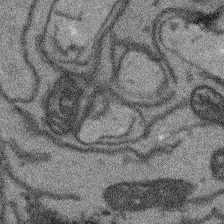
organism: Arabidopsis thaliana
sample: Root tip